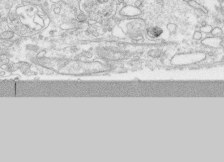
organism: Human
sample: CRL-1474